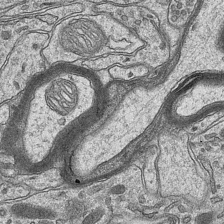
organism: Mouse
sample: CA1 Hippocampus